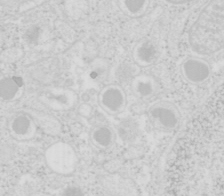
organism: Mouse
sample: Pancreas